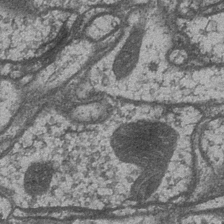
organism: Drosophila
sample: Optic medulla